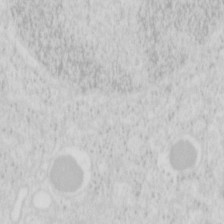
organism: Mouse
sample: Pancreas